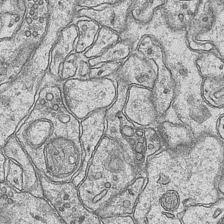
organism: Mouse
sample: CA1 Hippocampus